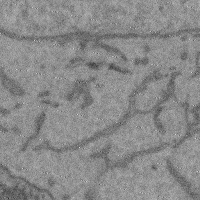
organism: Mouse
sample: Cerebral cortex